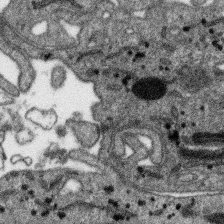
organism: Human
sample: Lung epithelial cells infected with SARS-CoV-2